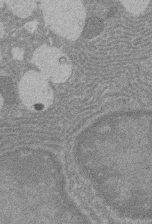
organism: Rat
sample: Salivary granule